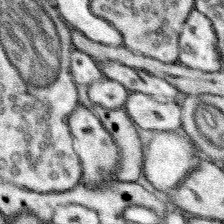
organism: Mouse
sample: Somatosensory cortex neuropil